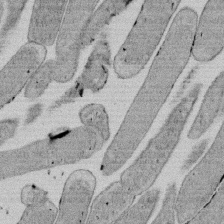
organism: E. coli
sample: Bacterial nucleoid